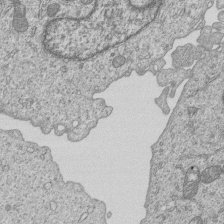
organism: Human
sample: MDA-MB-231 cells